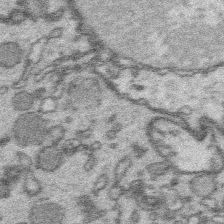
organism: Platynereis dumerilii